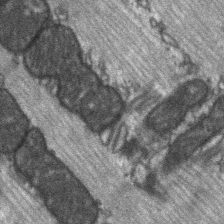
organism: C57BL Mouse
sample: Soleus